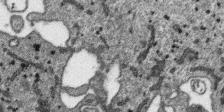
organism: Human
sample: Lung epithelial cells infected with SARS-CoV-2